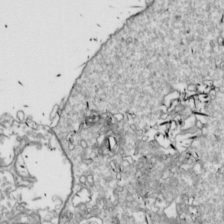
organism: Drosophila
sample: Cell division; meiosis; drosophila spermatocytes